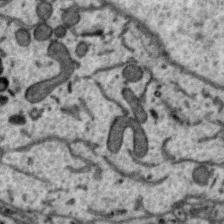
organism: Zebra finch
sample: Brain